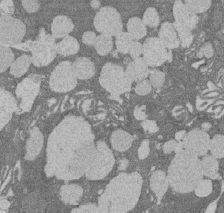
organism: Rat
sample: Salivary granule